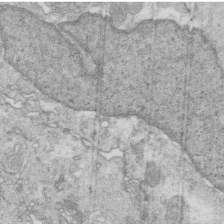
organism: Mouse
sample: Multiciliated cells